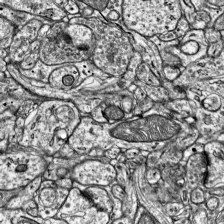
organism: Mouse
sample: Visual Cortex